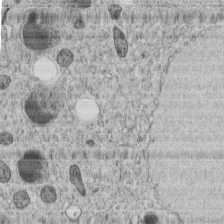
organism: C. elegans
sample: C. elegans embryo early stage